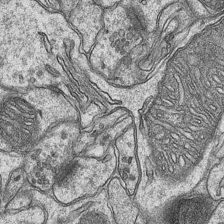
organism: Mouse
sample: CA1 Hippocampus